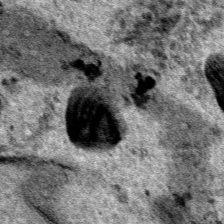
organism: Human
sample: Mitochondria in HCT116 cells